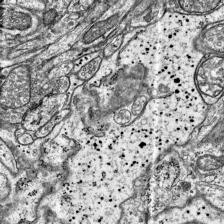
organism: Mouse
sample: Visual Cortex